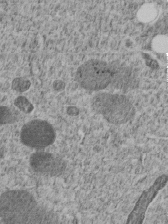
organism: C. elegans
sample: C. elegans embryo early stage